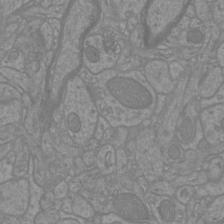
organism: Mouse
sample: Cortical neurons